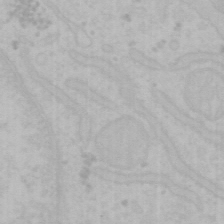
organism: Mouse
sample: Choroid plexus